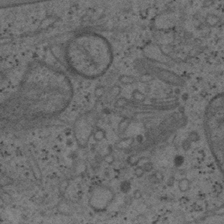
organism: Human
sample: HeLa cells